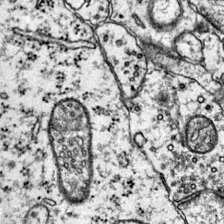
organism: Mouse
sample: Primary visual cortex